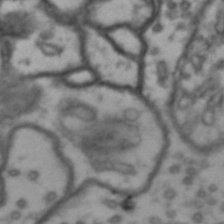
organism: Drosophila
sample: Brain